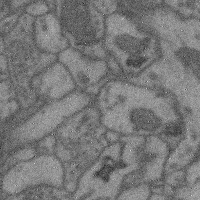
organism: Mouse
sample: Cerebral cortex